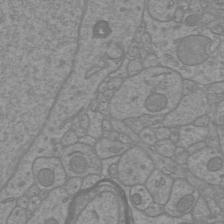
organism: Mouse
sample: Cortical neurons